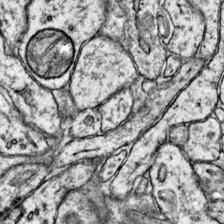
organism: Mouse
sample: Primary visual cortex